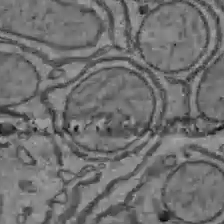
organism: C57BL Mouse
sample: Liver